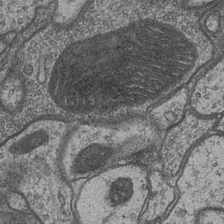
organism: Drosophila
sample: Optic medulla